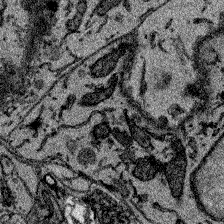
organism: Zebrafish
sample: Larval olfactory bulb